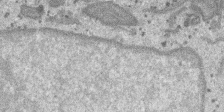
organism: Human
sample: Lung epithelial cells infected with SARS-CoV-2